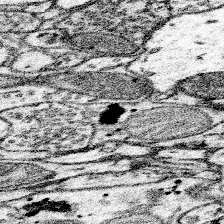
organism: Mouse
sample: Somatosensory cortex neuropil